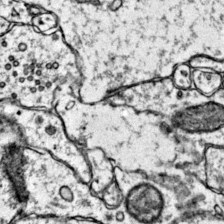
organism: Mouse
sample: Primary visual cortex